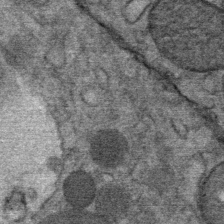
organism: Mouse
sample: Mouse Salivary gland